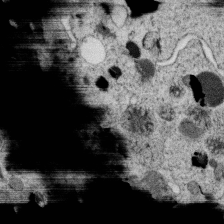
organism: C. elegans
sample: C. elegans oocyte; sperm cells